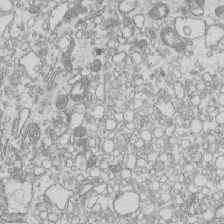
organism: Mouse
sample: Macrophages